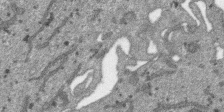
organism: Human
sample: Lung epithelial cells infected with SARS-CoV-2